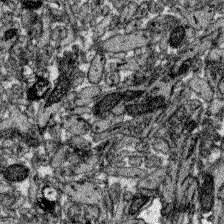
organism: Zebrafish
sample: Larval olfactory bulb